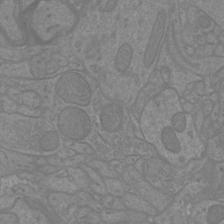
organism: Mouse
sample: Cortical neurons